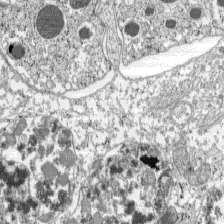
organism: C57BL Mouse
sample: Pancreatic islet